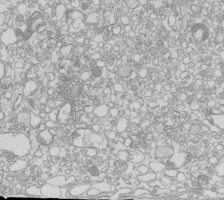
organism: Mouse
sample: Macrophages